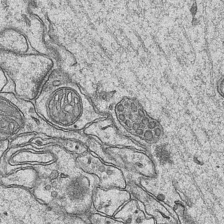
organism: Mouse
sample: CA1 Hippocampus